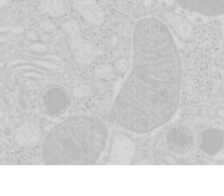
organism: Mouse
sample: Pancreas